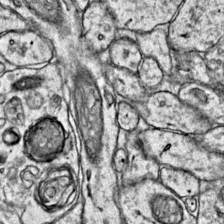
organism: Mouse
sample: Primary visual cortex